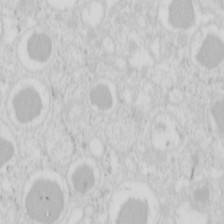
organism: Mouse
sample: Pancreas